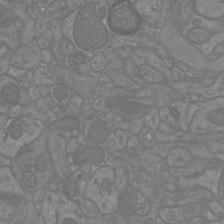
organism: Mouse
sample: Cortical neurons